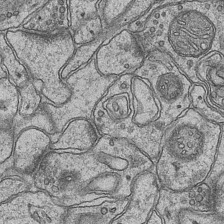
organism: Mouse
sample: CA1 Hippocampus